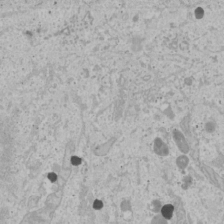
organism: Human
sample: Mitochondria in U2OS cells